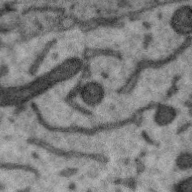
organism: Zebra finch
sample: Brain